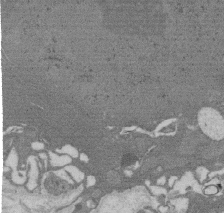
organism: Rat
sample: Salivary granule